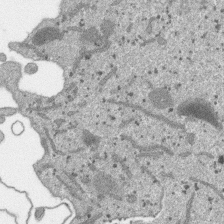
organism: Human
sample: Lung epithelial cells infected with SARS-CoV-2